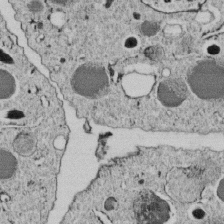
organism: C. elegans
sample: C. elegans embryo early stage